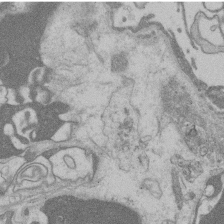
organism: Rat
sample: Salivary granule